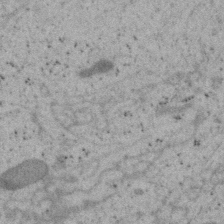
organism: Human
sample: HeLa cells